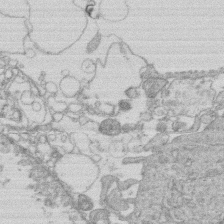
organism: Human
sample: Macrophage cells